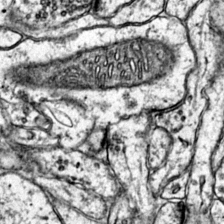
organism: Mouse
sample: Primary visual cortex